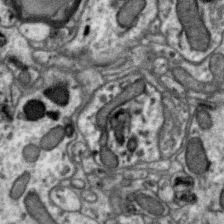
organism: Zebra finch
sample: Brain